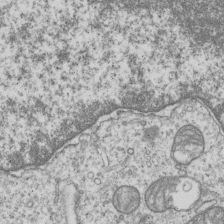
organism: Human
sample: MDA-MB-231 cells